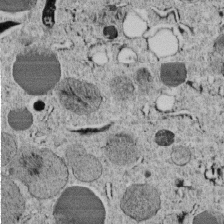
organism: C. elegans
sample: C. elegans embryo early stage